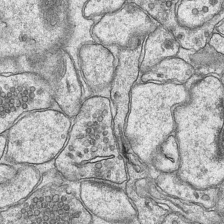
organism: Mouse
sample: CA1 Hippocampus